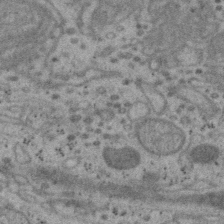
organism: Human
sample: HeLa cells